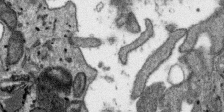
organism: Human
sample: Lung epithelial cells, uninfected (mock) control